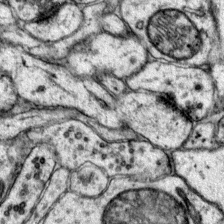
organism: Mouse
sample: Primary visual cortex